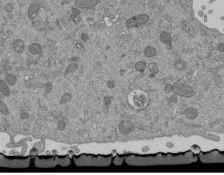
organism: Mouse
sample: ED-1 cell nuclei; centrioles